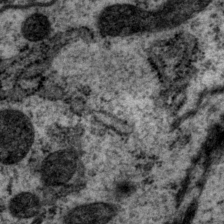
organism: P. pacificus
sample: Pharynx